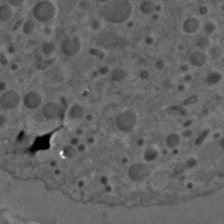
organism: C. elegans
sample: C. elegans embryo